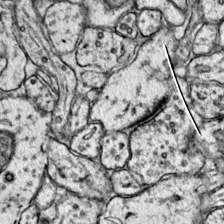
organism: Mouse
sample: Primary visual cortex